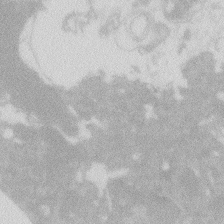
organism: Zebrafish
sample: Macrophage